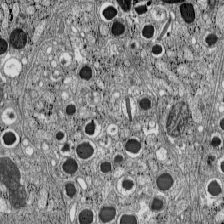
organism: C57BL Mouse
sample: Pancreatic islet